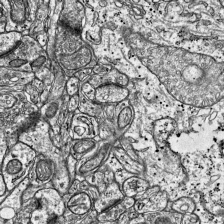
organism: Mouse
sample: Visual Cortex